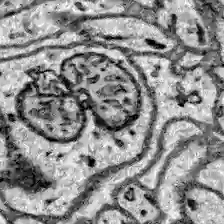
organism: Zebrafish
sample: Brain